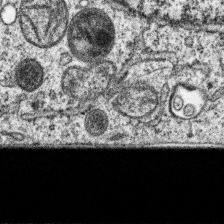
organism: Human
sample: HeLa cells